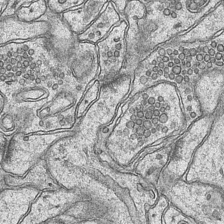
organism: Mouse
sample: CA1 Hippocampus